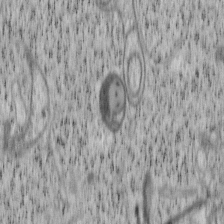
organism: Human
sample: HeLa cells